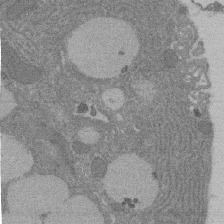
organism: Rat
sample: Salivary granule